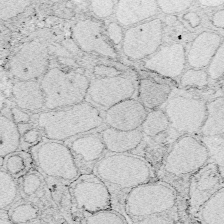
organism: Zebrafish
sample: Whole-Brain